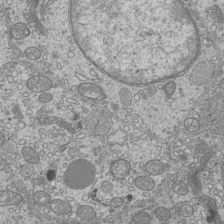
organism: Mouse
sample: Cilia; mouse epididymis